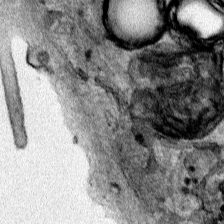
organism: Human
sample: Mitochondria in HCT116 cells